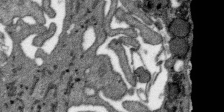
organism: Human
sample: Lung epithelial cells, uninfected (mock) control